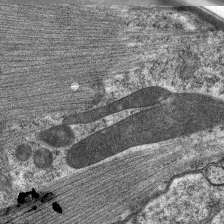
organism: C. elegans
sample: Pharynx